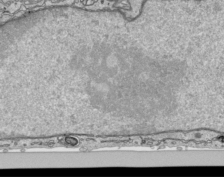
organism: Human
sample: Mitochondria in HCT116 cells